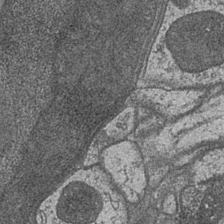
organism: Drosophila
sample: Optic medulla